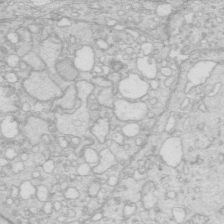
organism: Mouse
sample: Multiciliated cells